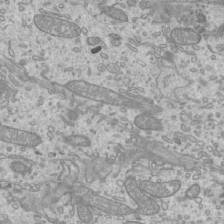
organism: Mouse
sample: Cilia; mouse epididymis